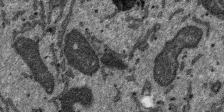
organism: Human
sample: Lung epithelial cells infected with SARS-CoV-2